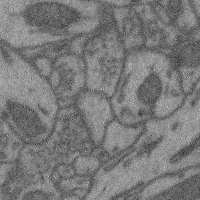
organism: Mouse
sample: Cerebral cortex